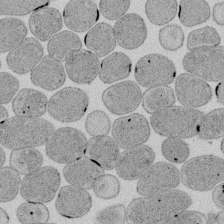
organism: E. coli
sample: Bacterial nucleoid